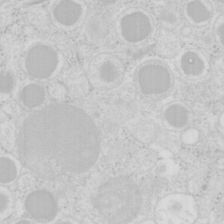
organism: Mouse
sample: Pancreas